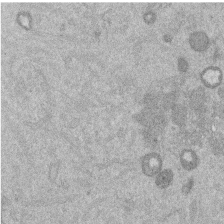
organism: Mouse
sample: Dividing mouse embryo 1 cell stage